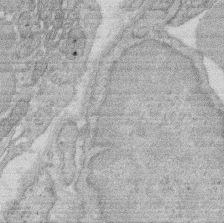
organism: Rat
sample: Salivary granule